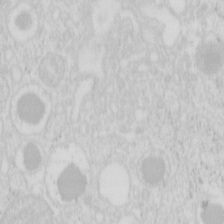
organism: Mouse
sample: Pancreas